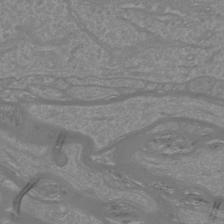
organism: Mouse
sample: Cortical neurons